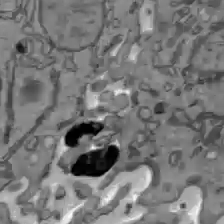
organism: C57BL Mouse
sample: Liver